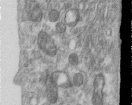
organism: Human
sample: Centriole in RPE cells